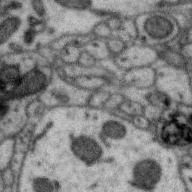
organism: Zebra finch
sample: Brain